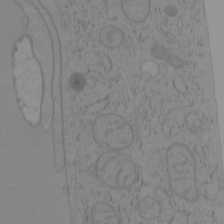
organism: Human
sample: HeLa cells